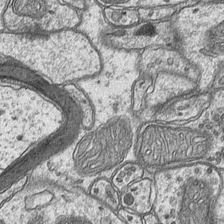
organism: Mouse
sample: CA1 Hippocampus